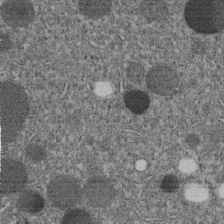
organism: C. elegans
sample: C. elegans embryo early stage